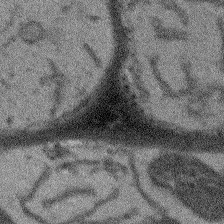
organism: Arabidopsis thaliana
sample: Root tip